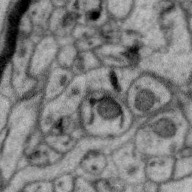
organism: Zebra finch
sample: Brain